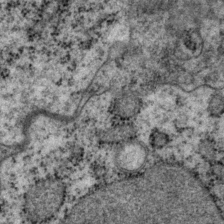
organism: P. pacificus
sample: Pharynx